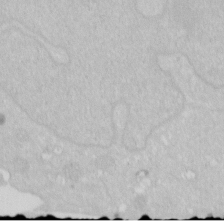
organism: Human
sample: HIV infected U937 cells